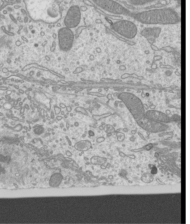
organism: Mouse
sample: Cilia; mouse epididymis